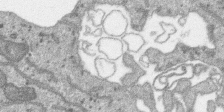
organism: Human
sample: Lung epithelial cells infected with SARS-CoV-2